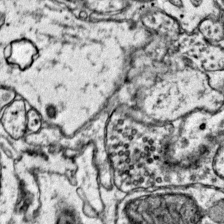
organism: Mouse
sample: Primary visual cortex